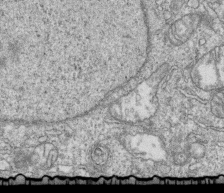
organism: Human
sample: HeLa cell HIV synapse